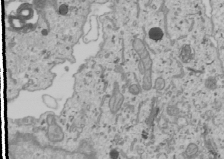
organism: Human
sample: Mitochondria in U2OS cells